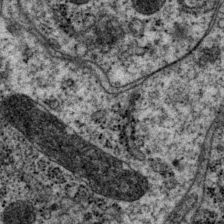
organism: P. pacificus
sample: Pharynx